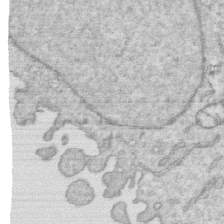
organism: Human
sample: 1205lu cells